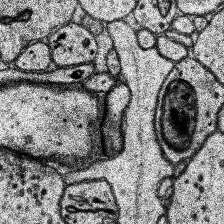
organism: Human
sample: Temporal Lobe